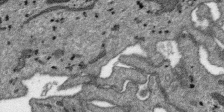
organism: Human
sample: Lung epithelial cells, uninfected (mock) control